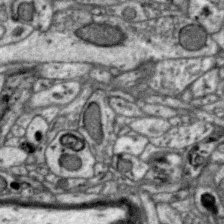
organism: Zebra finch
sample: Brain